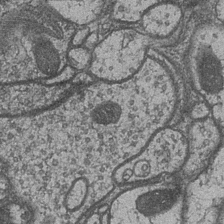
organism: Drosophila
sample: Optic medulla